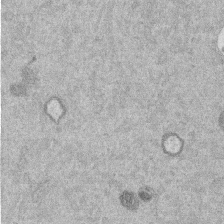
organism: Mouse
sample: Dividing mouse embryo 1 cell stage